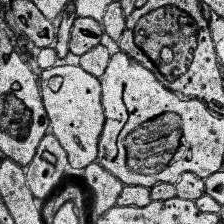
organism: Human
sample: Temporal Lobe